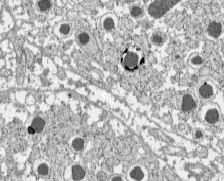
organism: C57BL Mouse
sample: Pancreatic islet